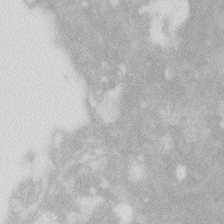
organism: Zebrafish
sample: Macrophage